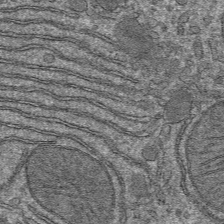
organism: Mouse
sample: Mouse hepatocytes